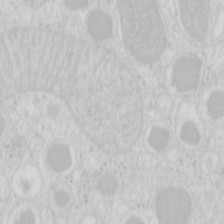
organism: Mouse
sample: Pancreas